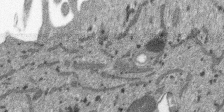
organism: Human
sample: Lung epithelial cells infected with SARS-CoV-2